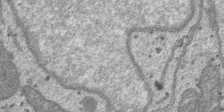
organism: Human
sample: Lung epithelial cells infected with SARS-CoV-2